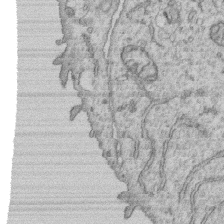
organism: Human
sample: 1205lu cells